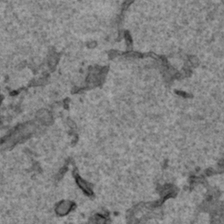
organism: Human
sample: Mitochondria in HCT116 cells